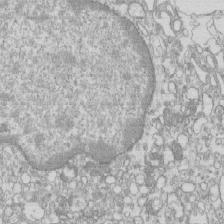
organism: Mouse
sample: Macrophages